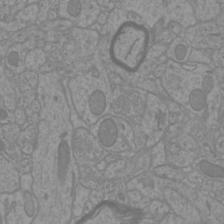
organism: Mouse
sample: Cortical neurons